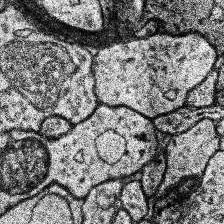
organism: Human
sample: Temporal Lobe